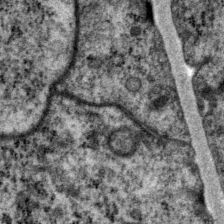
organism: P. pacificus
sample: Pharynx